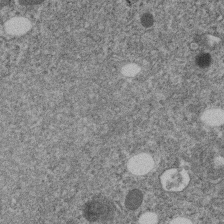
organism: C. elegans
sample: C. elegans embryo early stage